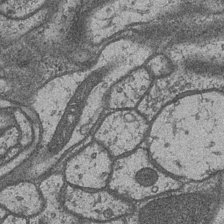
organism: Drosophila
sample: Optic medulla